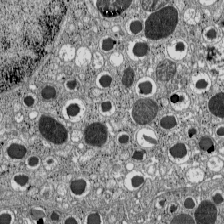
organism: C57BL Mouse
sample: Pancreatic islet